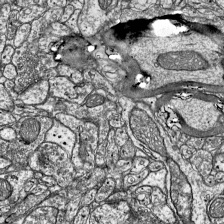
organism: Mouse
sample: Visual Cortex